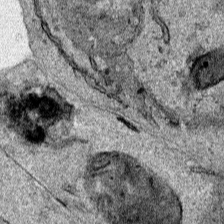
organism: Human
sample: Mitochondria in HCT116 cells